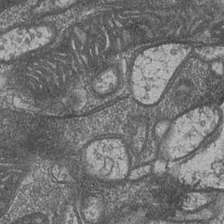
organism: Drosophila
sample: Optic medulla